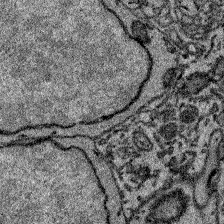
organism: Zebrafish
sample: Larval olfactory bulb